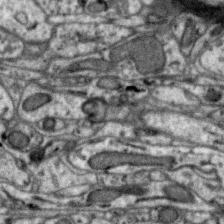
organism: Zebra finch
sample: Brain